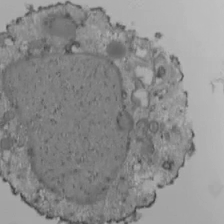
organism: Human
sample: Jurkat E6-1 and CD4 cells